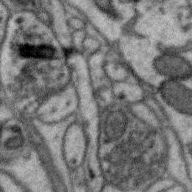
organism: Zebra finch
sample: Brain